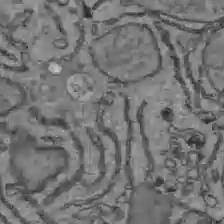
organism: C57BL Mouse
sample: Liver